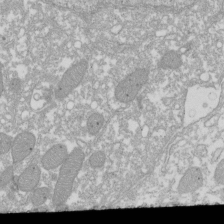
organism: Xenopus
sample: Cilia; centrioles in frog embryo cells